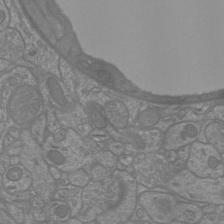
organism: Mouse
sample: Cortical neurons